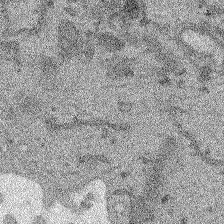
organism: Human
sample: HeLa cells